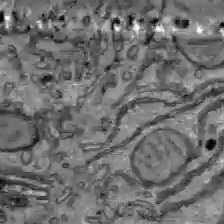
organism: C57BL Mouse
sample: Liver